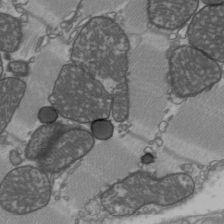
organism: C57BL Mouse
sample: Heart